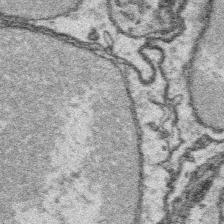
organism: Platynereis dumerilii